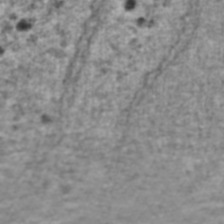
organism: Human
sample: Blood